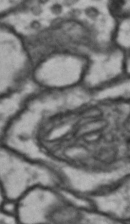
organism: Drosophila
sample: Brain